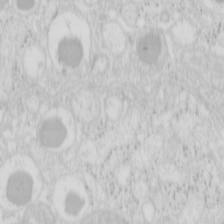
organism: Mouse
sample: Pancreas